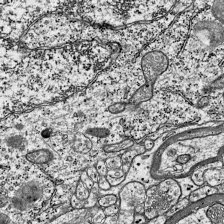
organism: Mouse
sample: Visual Cortex